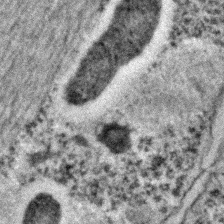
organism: C. elegans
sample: C. elegans embryo